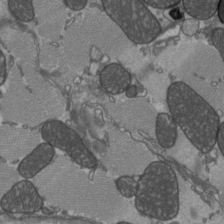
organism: C57BL Mouse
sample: Heart